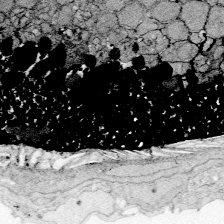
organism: Zebrafish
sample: Whole-Brain